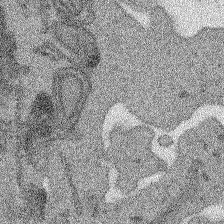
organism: Human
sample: HeLa cells